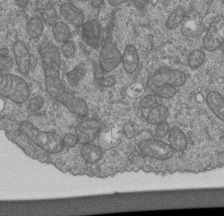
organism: Human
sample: Retinal organoid Rod and Cone cells